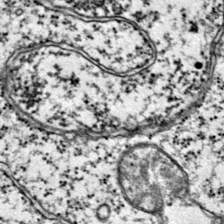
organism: Mouse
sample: Primary visual cortex